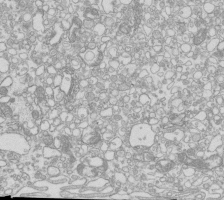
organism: Mouse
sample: Macrophages